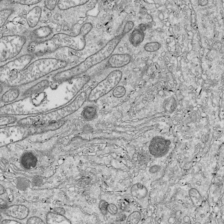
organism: Drosophila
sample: Cell division; meiosis; drosophila spermatocytes